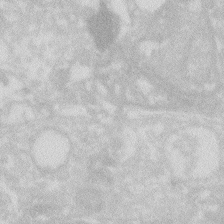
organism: Zebrafish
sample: Macrophage